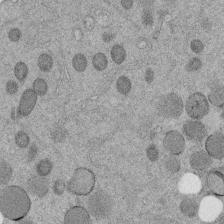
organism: C. elegans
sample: C. elegans embryo early stage